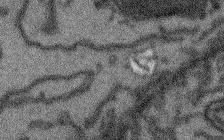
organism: Arabidopsis thaliana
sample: Root tip